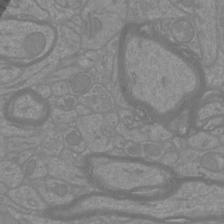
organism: Mouse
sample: Cortical neurons